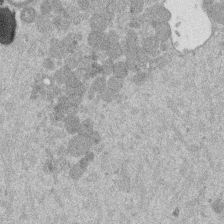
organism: Mouse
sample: Dividing mouse embryo 1 cell stage